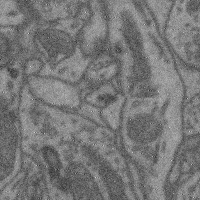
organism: Mouse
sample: Cerebral cortex